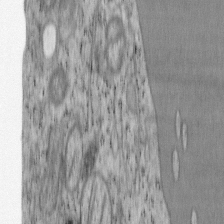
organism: Human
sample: HeLa cells